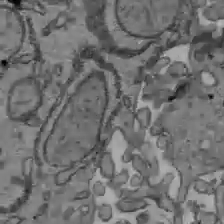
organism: C57BL Mouse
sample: Liver